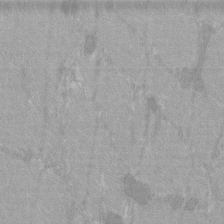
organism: C57BL Mouse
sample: Tibialis anterior muscle cell